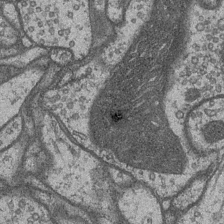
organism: Drosophila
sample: Optic medulla